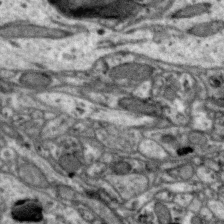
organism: Zebra finch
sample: Brain